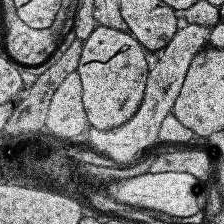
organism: Human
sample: Temporal Lobe